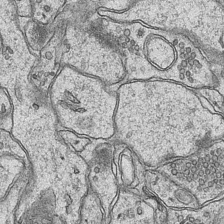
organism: Mouse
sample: CA1 Hippocampus